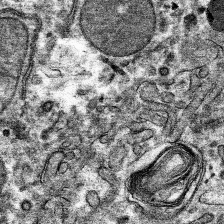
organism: Mouse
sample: Mouse hepatocytes